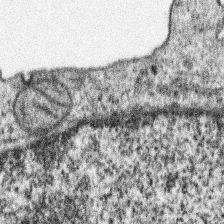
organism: Human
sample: HeLa cells